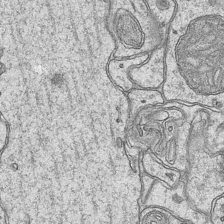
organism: Mouse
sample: CA1 Hippocampus